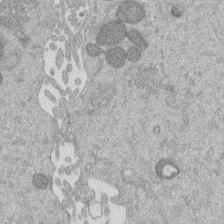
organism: Mouse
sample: Dividing mouse embryo 1 cell stage